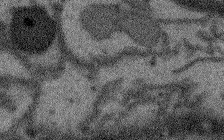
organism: Arabidopsis thaliana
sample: Root tip